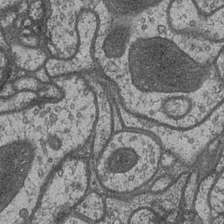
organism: Drosophila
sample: Optic medulla